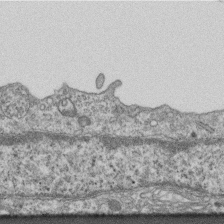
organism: Mouse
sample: Centriole in ependymal cells